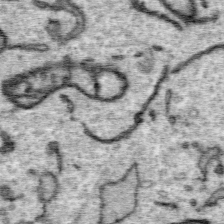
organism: Human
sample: HeLa cells